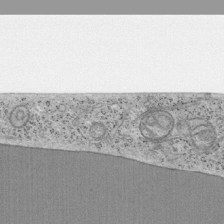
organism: Human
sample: HeLa cells